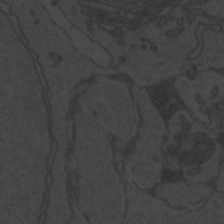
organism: Zebrafish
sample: Macrophage infected with Toxoplasma gondii